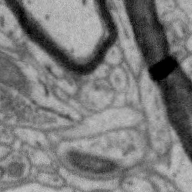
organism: Zebra finch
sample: Brain